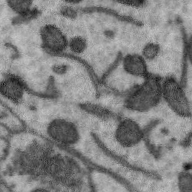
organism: Zebra finch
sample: Brain